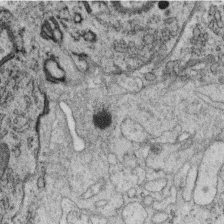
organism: C. elegans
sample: C. elegans oocyte; sperm cells